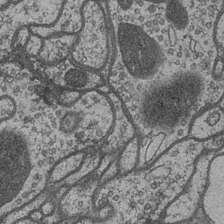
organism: Drosophila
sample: Optic medulla